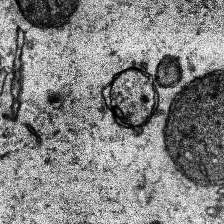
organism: Human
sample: Temporal Lobe